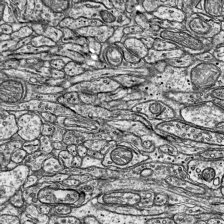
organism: Mouse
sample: Visual Cortex